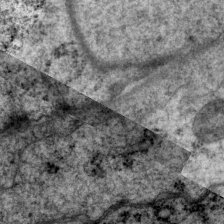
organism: P. pacificus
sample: Pharynx